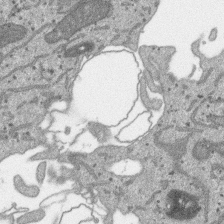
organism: Human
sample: Lung epithelial cells infected with SARS-CoV-2